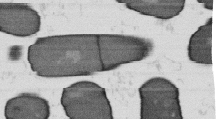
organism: B. subtilis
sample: Bacterial spore